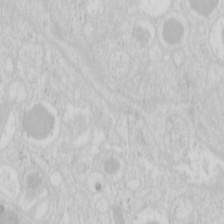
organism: Mouse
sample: Pancreas